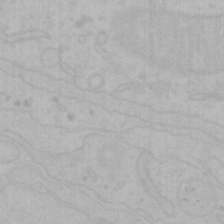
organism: Mouse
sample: Choroid plexus